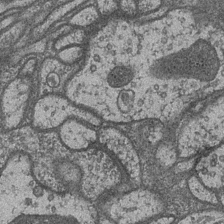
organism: Drosophila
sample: Optic medulla